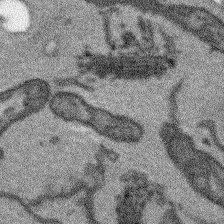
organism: Arabidopsis thaliana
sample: Root tip